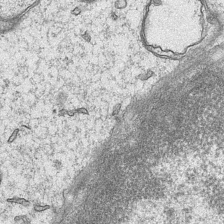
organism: Mouse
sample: CA1 Hippocampus